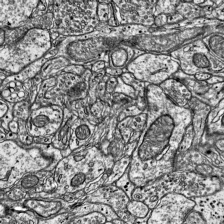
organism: Mouse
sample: Visual Cortex